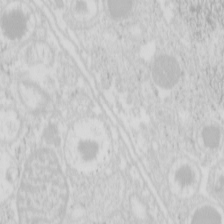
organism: Mouse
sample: Pancreas